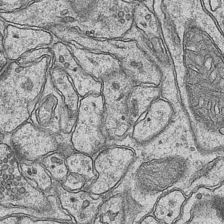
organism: Mouse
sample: CA1 Hippocampus